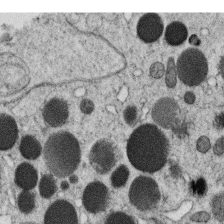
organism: C. elegans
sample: C. elegans oocyte; sperm cells